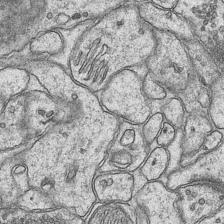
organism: Mouse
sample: CA1 Hippocampus